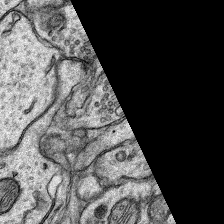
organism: Rat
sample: Hippocampus